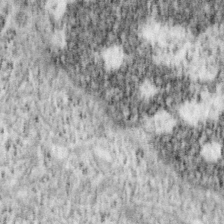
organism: Mouse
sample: OT-I killer T cells with ID8 ovarian cancer cells